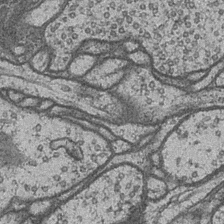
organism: Drosophila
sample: Optic medulla